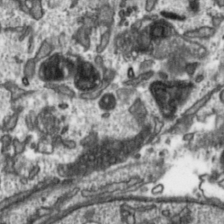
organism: Toxoplasma gondii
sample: Parasites in a vacuole inside a host cell